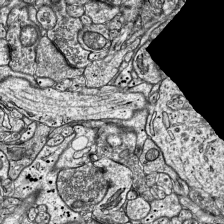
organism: Mouse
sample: Visual Cortex